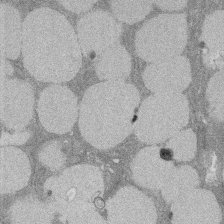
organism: Rat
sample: Salivary granule